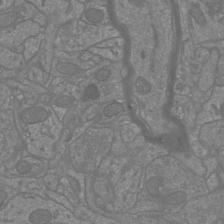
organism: Mouse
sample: Cortical neurons